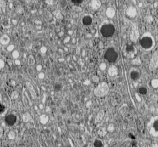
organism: C57BL Mouse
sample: Pancreatic islet